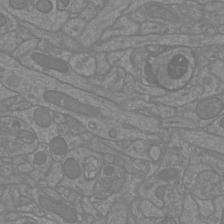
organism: Mouse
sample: Cortical neurons